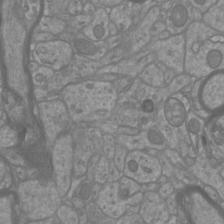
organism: Mouse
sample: Cortical neurons